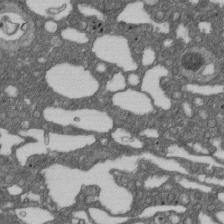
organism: Drosophila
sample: Nephrocyte